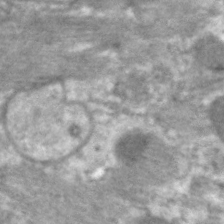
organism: C. elegans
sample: Pharynx